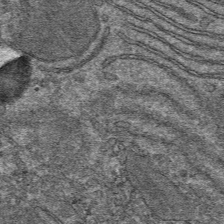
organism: Mouse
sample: Mouse hepatocytes